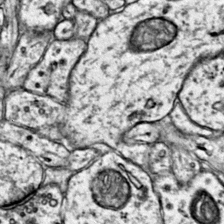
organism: Mouse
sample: Primary visual cortex